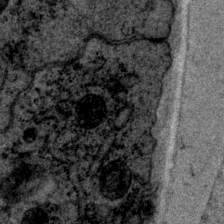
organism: P. pacificus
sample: Pharynx